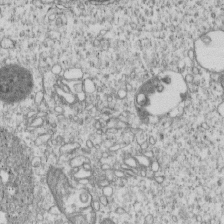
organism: Human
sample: MDA-MB-231 cells